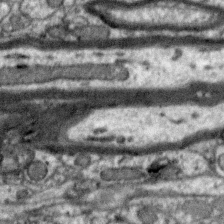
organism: Zebra finch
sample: Brain